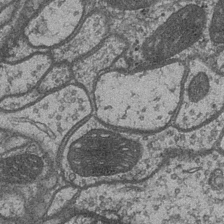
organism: Drosophila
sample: Optic medulla